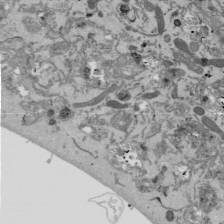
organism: Mouse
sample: ED-1 cell nuclei; centrioles